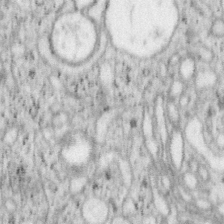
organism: Mouse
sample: OT-I killer T cells with ID8 ovarian cancer cells